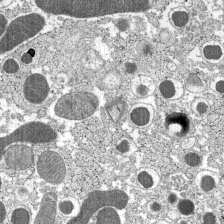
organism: C57BL Mouse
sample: Pancreatic islet